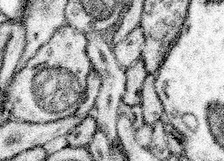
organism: Mouse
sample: Somatosensory cortex neuropil